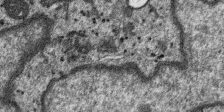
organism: Human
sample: Lung epithelial cells infected with SARS-CoV-2